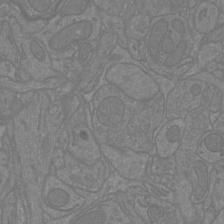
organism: Mouse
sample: Cortical neurons